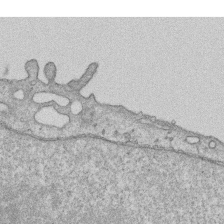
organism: Human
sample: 1205lu cells